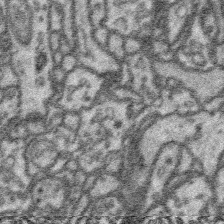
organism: Platynereis dumerilii